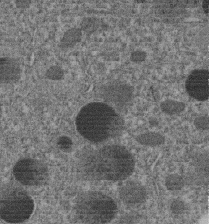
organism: C. elegans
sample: C. elegans embryo early stage